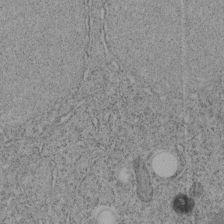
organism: C. elegans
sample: C. elegans embryo early stage